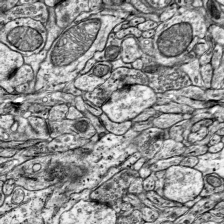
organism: Mouse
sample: Visual Cortex